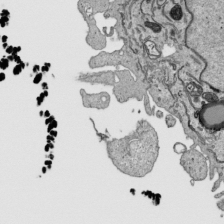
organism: Human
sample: Mitochondria in HCT116 cells